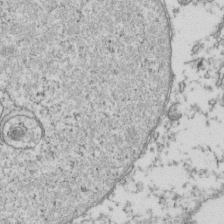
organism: Human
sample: Activated Jurkat CD4+ T cells